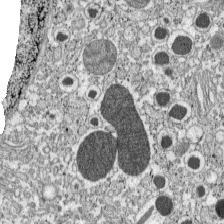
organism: C57BL Mouse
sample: Pancreatic islet